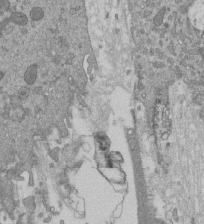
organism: Mouse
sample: ED-1 cell nuclei; centrioles